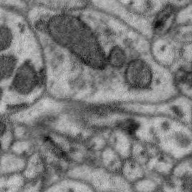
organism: Zebra finch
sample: Brain